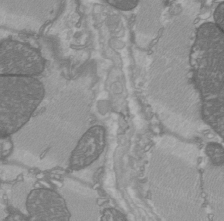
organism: C57BL Mouse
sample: Heart